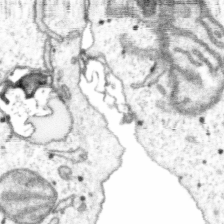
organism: Human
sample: HeLa cells